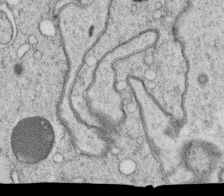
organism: C. elegans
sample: C. elegans oocyte; sperm cells